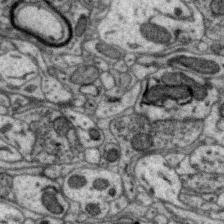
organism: Zebra finch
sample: Brain